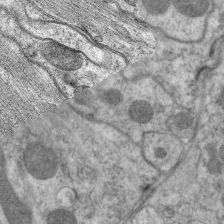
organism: C. elegans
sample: Pharynx